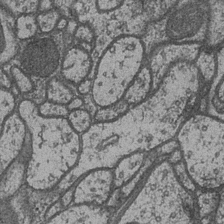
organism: Drosophila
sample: Optic medulla